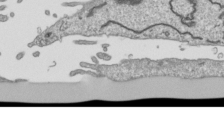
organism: Human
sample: Mitochondria in HCT116 cells